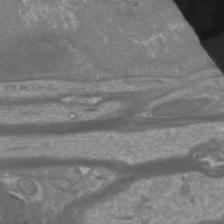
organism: Mouse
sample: Cortical neurons